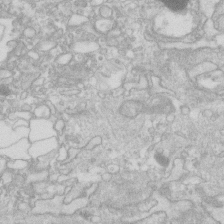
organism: Human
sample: Fibroblast cells